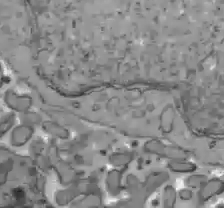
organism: C57BL Mouse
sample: Liver